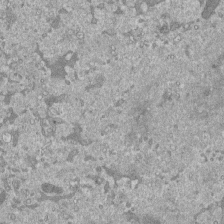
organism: Mouse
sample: ED-1 cell nuclei; centrioles